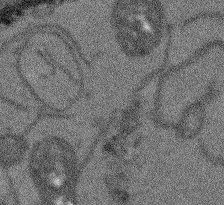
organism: Arabidopsis thaliana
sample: Root tip